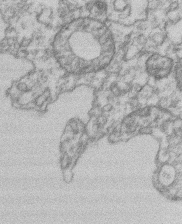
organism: Mouse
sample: T cell stromal cell synapse